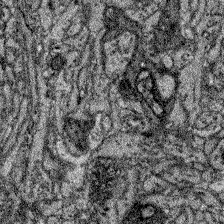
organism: Zebrafish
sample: Larval olfactory bulb